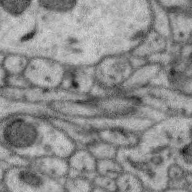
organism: Zebra finch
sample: Brain